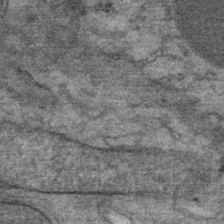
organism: Mouse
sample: Mouse Salivary gland